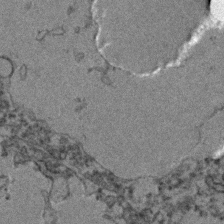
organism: Zebrafish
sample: Zebrafish embryo